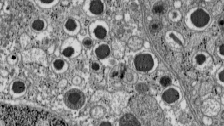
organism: C57BL Mouse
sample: Pancreatic islet